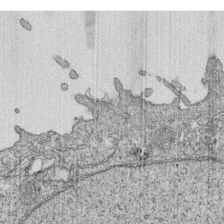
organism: Human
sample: HeLa cell HIV synapse